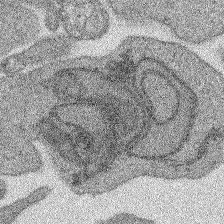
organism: Human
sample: HeLa cells